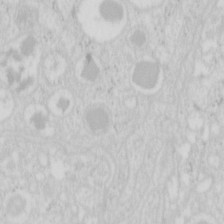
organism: Mouse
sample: Pancreas